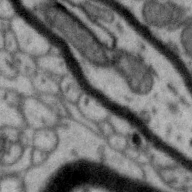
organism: Zebra finch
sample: Brain